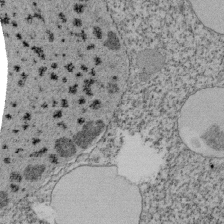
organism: Tetrahymena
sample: Cilia in tetrahymena